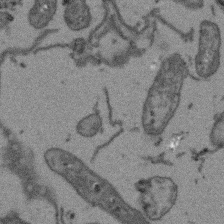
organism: Arabidopsis thaliana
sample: Root tip